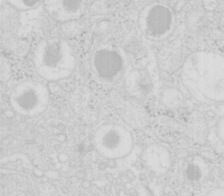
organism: Mouse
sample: Pancreas